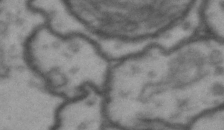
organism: Drosophila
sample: Brain